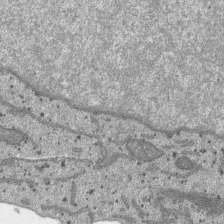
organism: Human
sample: Lung epithelial cells infected with SARS-CoV-2